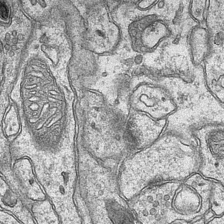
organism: Mouse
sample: CA1 Hippocampus